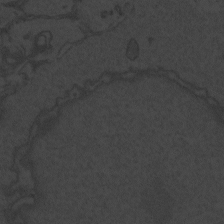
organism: Zebrafish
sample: Macrophage infected with Toxoplasma gondii